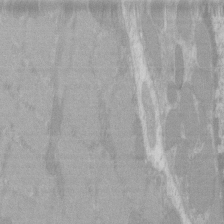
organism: C57BL Mouse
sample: Tibialis anterior muscle cell